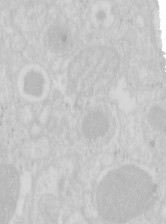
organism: Mouse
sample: Pancreas